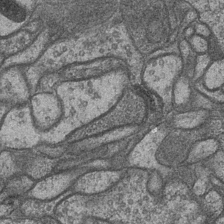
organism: Drosophila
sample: Optic medulla